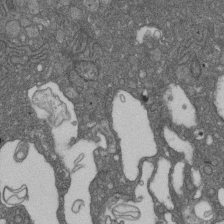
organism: Drosophila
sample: Nephrocyte